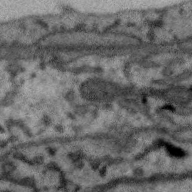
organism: Zebra finch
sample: Brain